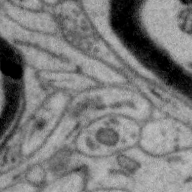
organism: Zebra finch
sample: Brain